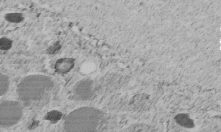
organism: C. elegans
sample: C. elegans embryo early stage